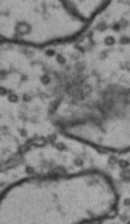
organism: Drosophila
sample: Brain